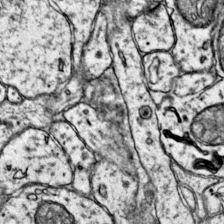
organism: Mouse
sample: Primary visual cortex